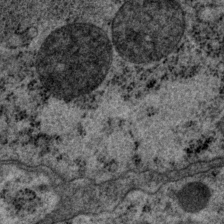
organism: P. pacificus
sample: Pharynx